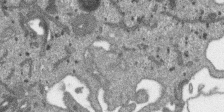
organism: Human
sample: Lung epithelial cells infected with SARS-CoV-2